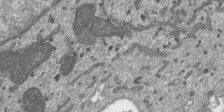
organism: Human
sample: Lung epithelial cells infected with SARS-CoV-2